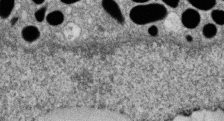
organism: Zebrafish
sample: Cilia; retinal pigment epithelium